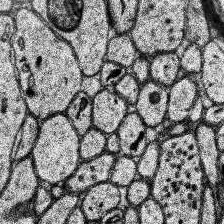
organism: Human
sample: Temporal Lobe